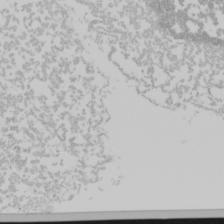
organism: Mouse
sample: Cancer cell death in ED-1 cells